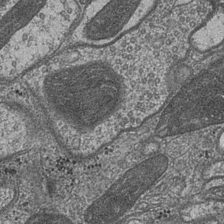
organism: Drosophila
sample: Optic medulla